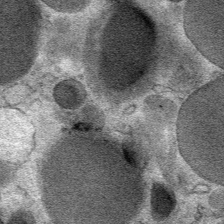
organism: Mouse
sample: Mouse Salivary gland